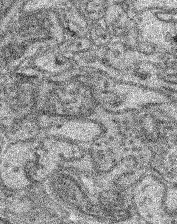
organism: Mouse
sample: Retina